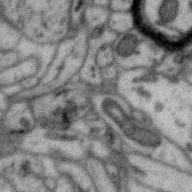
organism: Zebra finch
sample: Brain